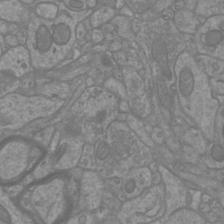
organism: Mouse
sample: Cortical neurons